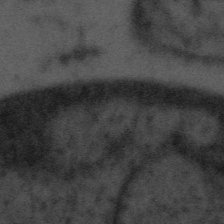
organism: Tuwongella immobilis